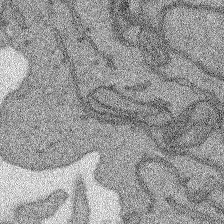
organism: Human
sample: HeLa cells